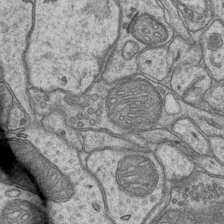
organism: Mouse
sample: CA1 Hippocampus